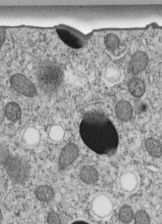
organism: C. elegans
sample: C. elegans embryo early stage